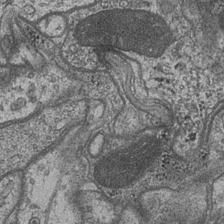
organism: Drosophila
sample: Optic medulla